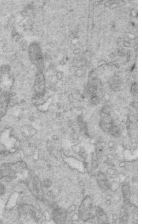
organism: Mouse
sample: Multiciliated cells